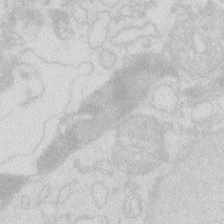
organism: Zebrafish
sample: Macrophage